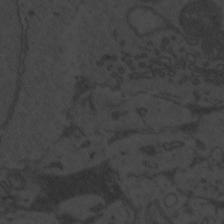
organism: Zebrafish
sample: Macrophage infected with Toxoplasma gondii